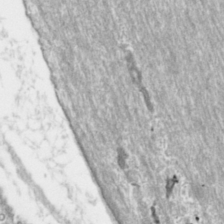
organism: Toxoplasma gondii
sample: Parasites in a vacuole inside a host cell